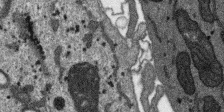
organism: Human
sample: Lung epithelial cells infected with SARS-CoV-2